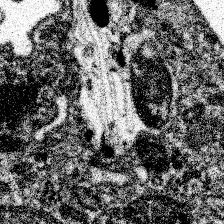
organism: Spongilla lacustris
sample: Neuroid cell